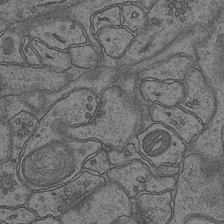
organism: Mouse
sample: CA1 Hippocampus